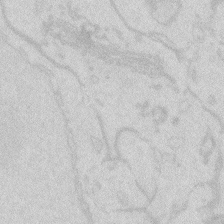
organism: Zebrafish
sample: Macrophage